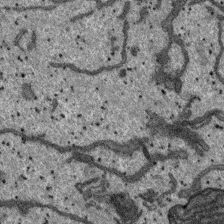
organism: Human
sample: Lung epithelial cells, uninfected (mock) control